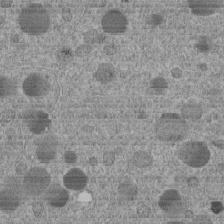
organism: C. elegans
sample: C. elegans embryo early stage